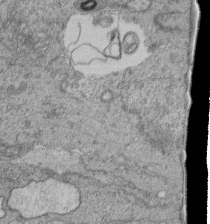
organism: Human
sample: Retinal organoid Rod and Cone cells